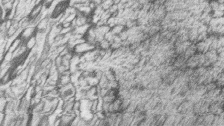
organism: Zebrafish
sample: synaptic ribbons in rod cells and cone cells